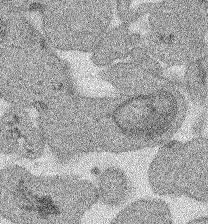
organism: Human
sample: HeLa cells